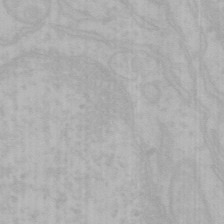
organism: Mouse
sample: Choroid plexus